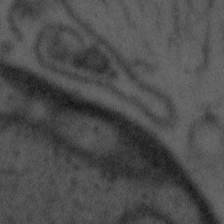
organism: Tuwongella immobilis